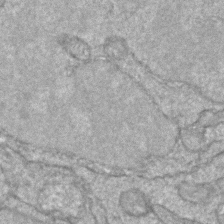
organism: Zebrafish